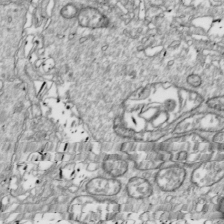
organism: Drosophila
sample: Cell division; meiosis; drosophila spermatocytes